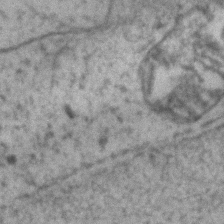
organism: Zebrafish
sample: Zebrafish embryo